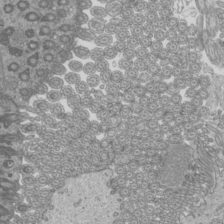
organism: Mouse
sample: Cilia; mouse epididymis